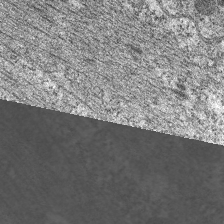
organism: C. elegans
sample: Pharynx